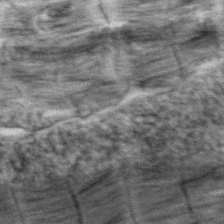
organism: Zebrafish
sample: Zebrafish embryo